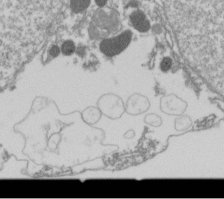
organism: Drosophila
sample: Cell division; meiosis; drosophila spermatocytes